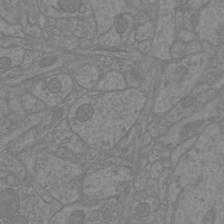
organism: Mouse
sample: Cortical neurons